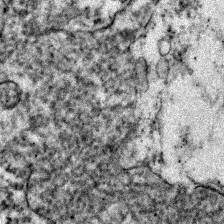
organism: Zebrafish